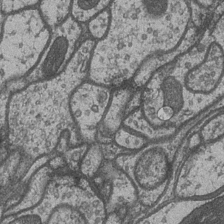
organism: Drosophila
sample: Optic medulla